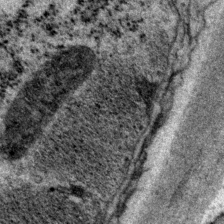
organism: P. pacificus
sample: Pharynx